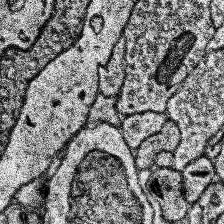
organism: Human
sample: Temporal Lobe